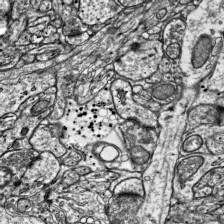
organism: Mouse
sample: Visual Cortex